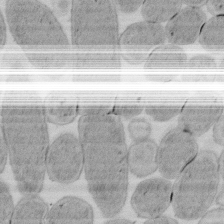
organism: E. coli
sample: Bacterial nucleoid